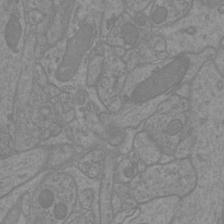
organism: Mouse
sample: Cortical neurons